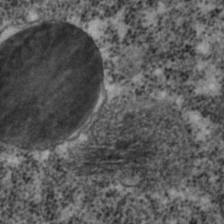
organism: C. elegans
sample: C. elegans embryo